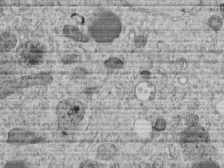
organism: C. elegans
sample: C. elegans embryo early stage